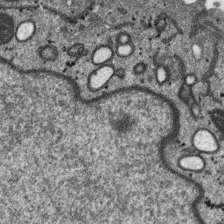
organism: Human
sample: Lung epithelial cells infected with SARS-CoV-2